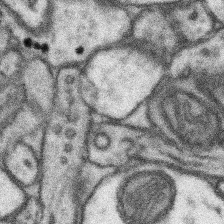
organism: Mouse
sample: Somatosensory cortex neuropil